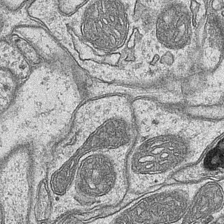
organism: Mouse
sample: CA1 Hippocampus